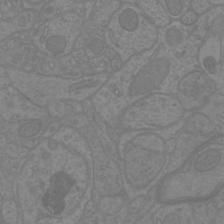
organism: Mouse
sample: Cortical neurons